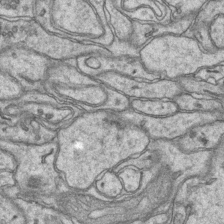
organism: Mouse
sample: CA1 Hippocampus